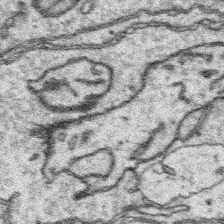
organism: Platynereis dumerilii